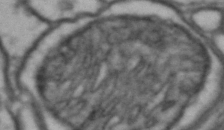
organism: Drosophila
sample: Brain